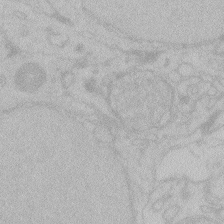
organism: Zebrafish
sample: Macrophage infected with Toxoplasma gondii